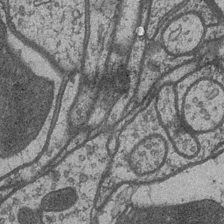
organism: Drosophila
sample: Optic medulla